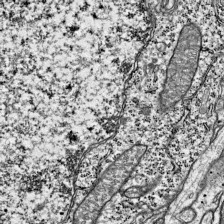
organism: Mouse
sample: Visual Cortex